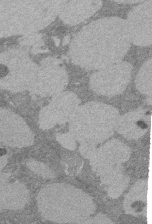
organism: Rat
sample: Salivary granule